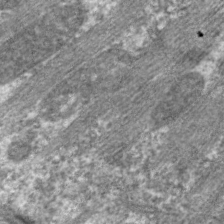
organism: C. elegans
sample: Pharynx